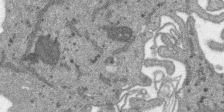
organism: Human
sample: Lung epithelial cells infected with SARS-CoV-2